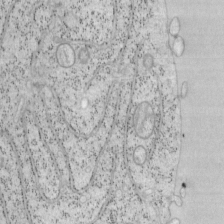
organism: Mouse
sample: OT-I killer T cells with ID8 ovarian cancer cells